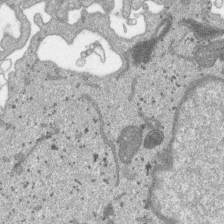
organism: Human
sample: Lung epithelial cells infected with SARS-CoV-2